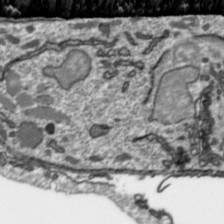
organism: Toxoplasma gondii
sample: Parasites in a vacuole inside a host cell